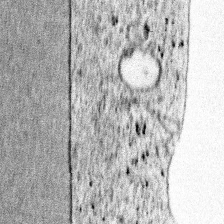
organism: Human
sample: HeLa cells